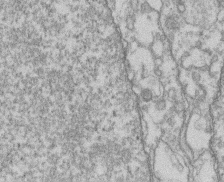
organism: Mouse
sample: T cell stromal cell synapse